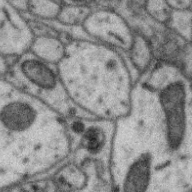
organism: Zebra finch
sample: Brain